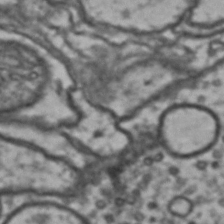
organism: Drosophila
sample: Brain